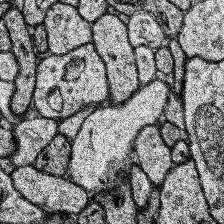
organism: Human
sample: Temporal Lobe